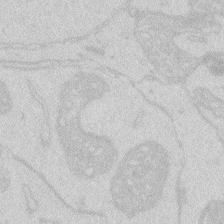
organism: Zebrafish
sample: Macrophage